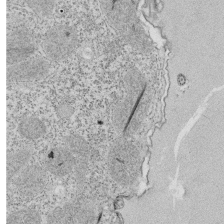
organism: Tetrahymena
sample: Cilia in tetrahymena